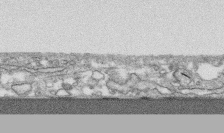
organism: Human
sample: CRL-1474